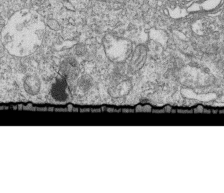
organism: Human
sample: HeLa cell HIV synapse